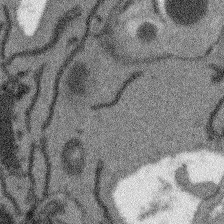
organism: Arabidopsis thaliana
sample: Root tip